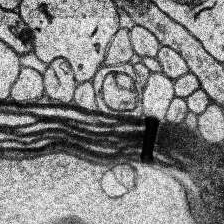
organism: Human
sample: Temporal Lobe